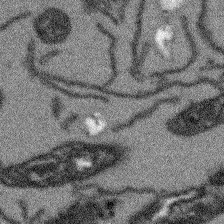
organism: Arabidopsis thaliana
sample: Root tip